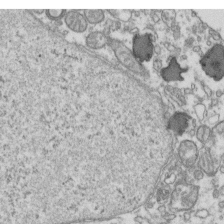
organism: Human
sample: Activated Jurkat CD4+ T cells